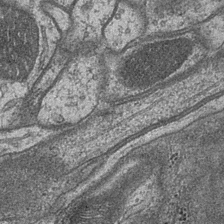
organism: Drosophila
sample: Optic medulla